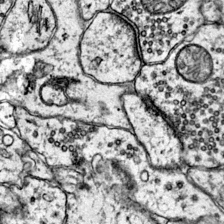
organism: Mouse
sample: Primary visual cortex